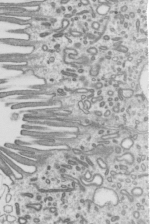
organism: Mouse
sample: Mouse epididymis efferent ductule cilia